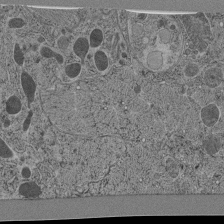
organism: C. elegans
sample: C. elegans pharynx